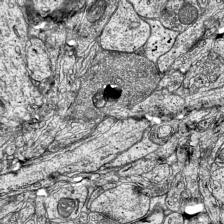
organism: Mouse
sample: Visual Cortex